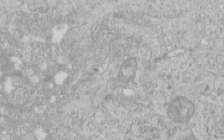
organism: Human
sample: Centriole in RPE cells